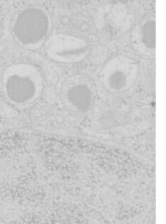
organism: Mouse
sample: Pancreas